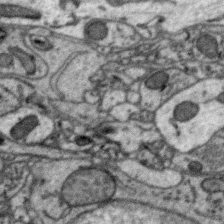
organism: Zebra finch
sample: Brain